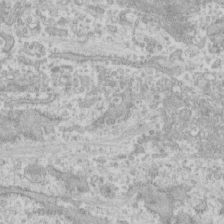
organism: Human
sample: CRL-1474